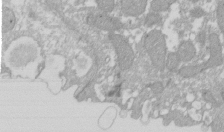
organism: Xenopus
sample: Cilia; centrioles in frog embryo cells